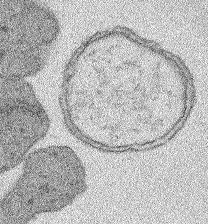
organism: Human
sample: HeLa cells